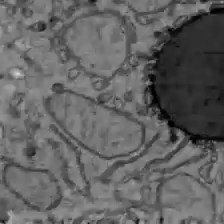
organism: C57BL Mouse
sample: Liver